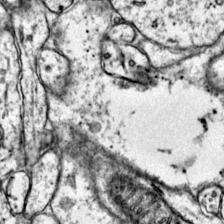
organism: Mouse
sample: Primary visual cortex